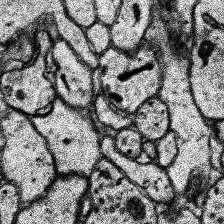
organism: Human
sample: Temporal Lobe